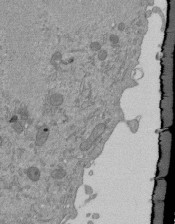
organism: Mouse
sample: ED-1 cell nuclei; centrioles